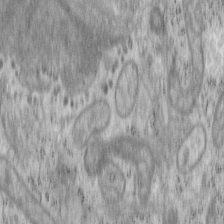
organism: Human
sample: HeLa cells